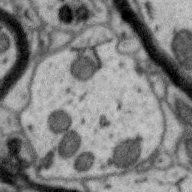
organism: Zebra finch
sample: Brain